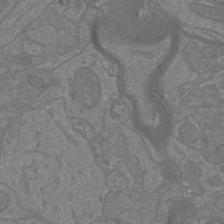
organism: Mouse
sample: Cortical neurons